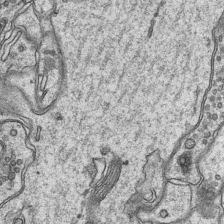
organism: Mouse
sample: CA1 Hippocampus